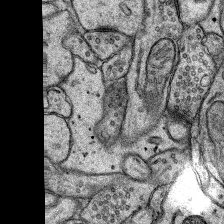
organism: Rat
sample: Hippocampus